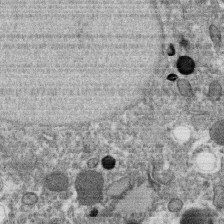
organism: C. elegans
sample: C. elegans oocyte; sperm cells